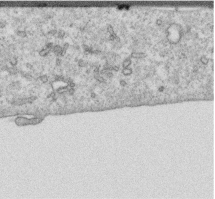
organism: Human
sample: Centriole in RPE cells